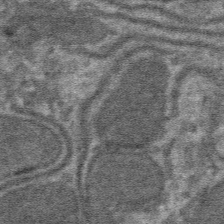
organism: Mouse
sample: Mouse hepatocytes